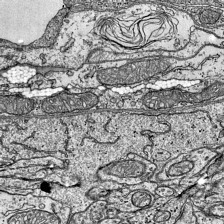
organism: Mouse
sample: Visual Cortex